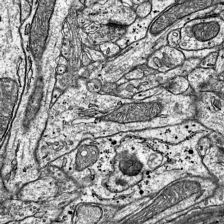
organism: Mouse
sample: Visual Cortex